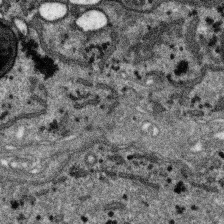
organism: Human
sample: Lung epithelial cells infected with SARS-CoV-2